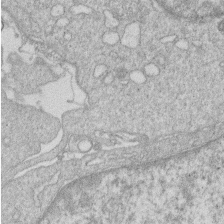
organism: Human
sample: Macrophage cells